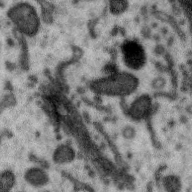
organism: Zebra finch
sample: Brain